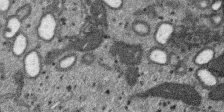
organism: Human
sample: Lung epithelial cells infected with SARS-CoV-2